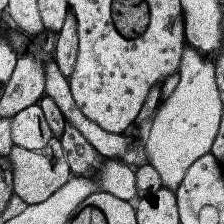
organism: Human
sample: Temporal Lobe